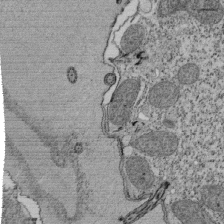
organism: Tetrahymena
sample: Cilia in tetrahymena